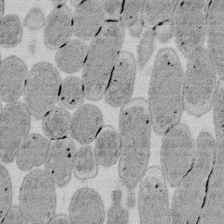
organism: E. coli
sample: Bacterial nucleoid